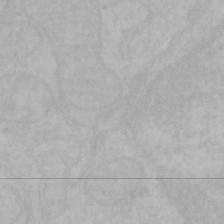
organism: Mouse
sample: Choroid plexus